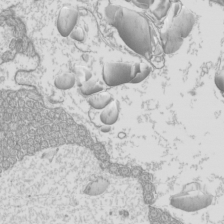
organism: Mouse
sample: Cilia; mouse epididymis